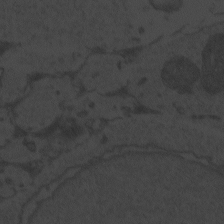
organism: Zebrafish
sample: Macrophage infected with Toxoplasma gondii